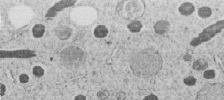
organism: C. elegans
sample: C. elegans embryo early stage